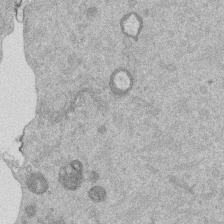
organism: Mouse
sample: Dividing mouse embryo 1 cell stage